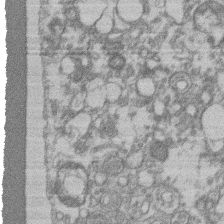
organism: Mouse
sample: T cell stromal cell synapse